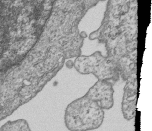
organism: Human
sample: MDA-MB-231 cells